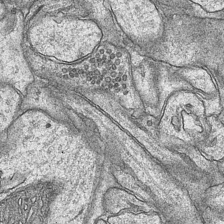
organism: Mouse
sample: CA1 Hippocampus